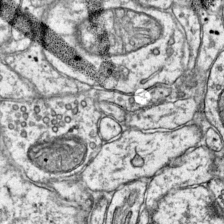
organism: Mouse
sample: Primary visual cortex